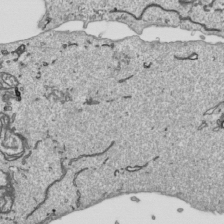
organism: Human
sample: Mitochondria in HCT116 cells